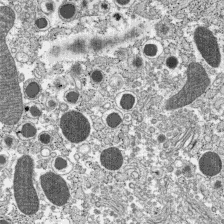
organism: C57BL Mouse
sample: Pancreatic islet